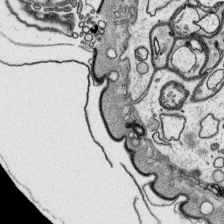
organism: Platynereis dumerilii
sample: Parapodia